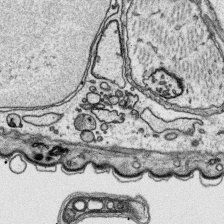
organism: Platynereis dumerilii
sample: Parapodia